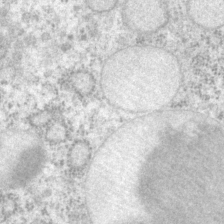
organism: P. pacificus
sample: Pharynx